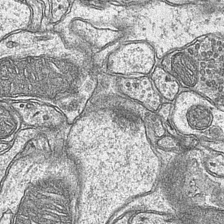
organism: Mouse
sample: CA1 Hippocampus